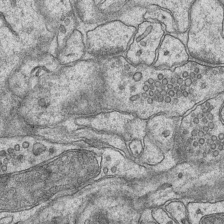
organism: Mouse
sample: CA1 Hippocampus